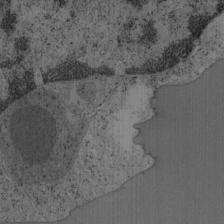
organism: Mouse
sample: OT-I killer T cells with ID8 ovarian cancer cells